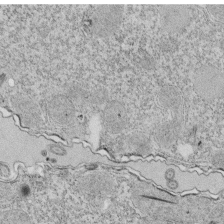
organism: Tetrahymena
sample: Cilia in tetrahymena